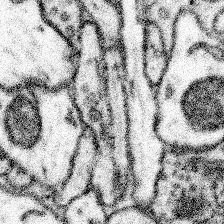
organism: Mouse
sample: Somatosensory cortex neuropil